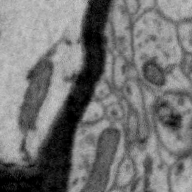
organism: Zebra finch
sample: Brain